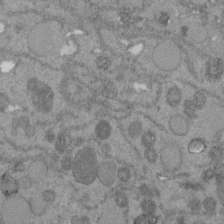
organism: C. elegans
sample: C. elegans embryo early stage